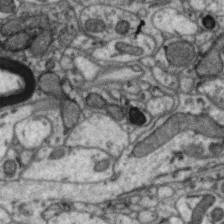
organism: Zebra finch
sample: Brain